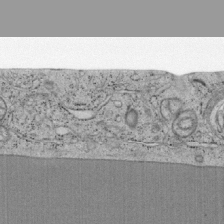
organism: Human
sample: HeLa cells